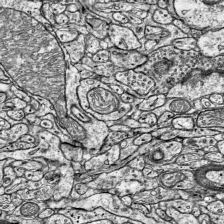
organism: Mouse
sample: Visual Cortex